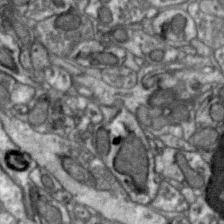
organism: Zebra finch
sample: Brain